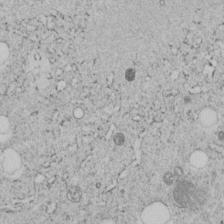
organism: C. elegans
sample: C. elegans embryo early stage